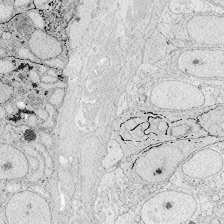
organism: Zebrafish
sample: Whole-Brain